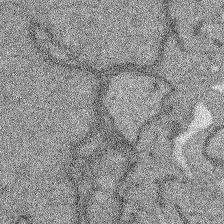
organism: Human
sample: HeLa cells